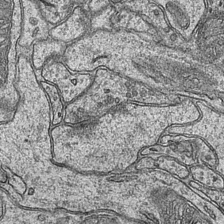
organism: Mouse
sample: CA1 Hippocampus